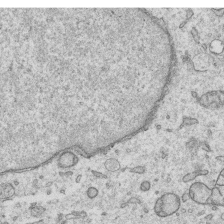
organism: Human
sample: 1205lu cells